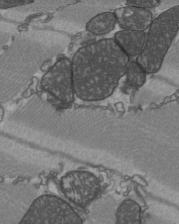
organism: C57BL Mouse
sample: Heart